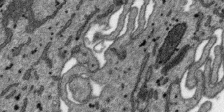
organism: Human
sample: Lung epithelial cells, uninfected (mock) control